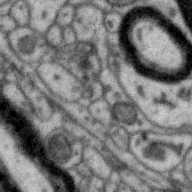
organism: Zebra finch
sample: Brain